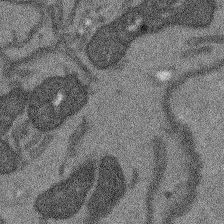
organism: Arabidopsis thaliana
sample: Root tip